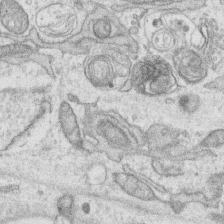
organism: Human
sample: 1205lu cells